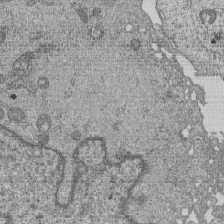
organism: Human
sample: MDA-MB-231 cells